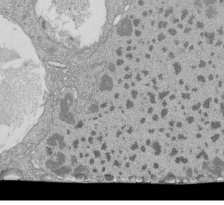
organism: Tetrahymena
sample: Cilia in tetrahymena